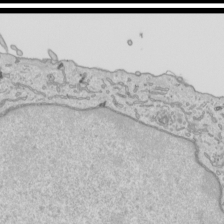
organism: Human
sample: Mitochondria in HCT116 cells